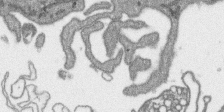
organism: Human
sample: Lung epithelial cells infected with SARS-CoV-2